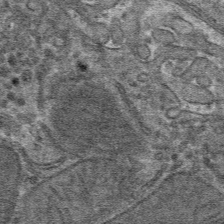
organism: Mouse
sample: Mouse hepatocytes